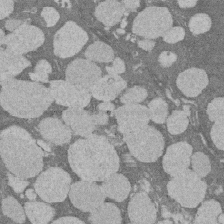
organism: Rat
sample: Salivary granule